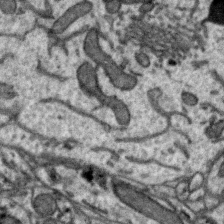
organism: Zebra finch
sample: Brain